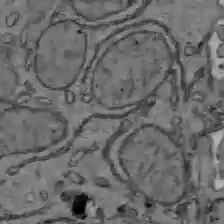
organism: C57BL Mouse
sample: Liver